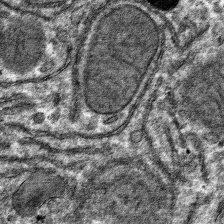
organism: Mouse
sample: Mouse hepatocytes